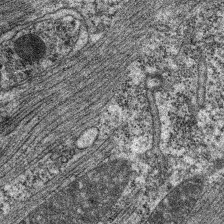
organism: C. elegans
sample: Pharynx